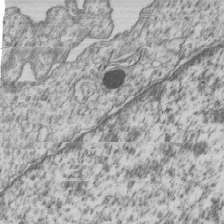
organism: Human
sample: MDA-MB-231 cells